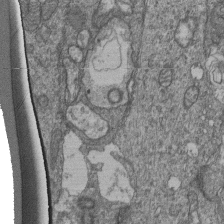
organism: Human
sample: Retinal organoid Rod and Cone cells